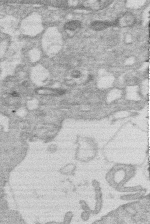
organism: Human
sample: Macrophage cells